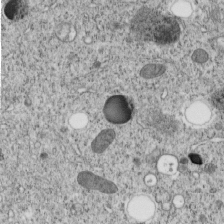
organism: C. elegans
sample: C. elegans embryo early stage